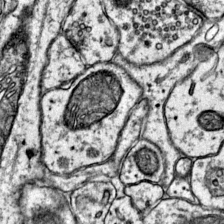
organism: Mouse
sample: Primary visual cortex